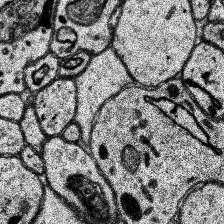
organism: Human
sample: Temporal Lobe